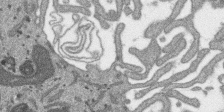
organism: Human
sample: Lung epithelial cells infected with SARS-CoV-2